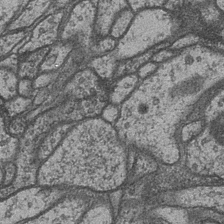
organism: Drosophila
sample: Optic medulla